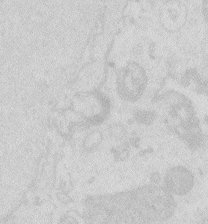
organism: Zebrafish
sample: Macrophage